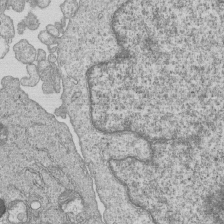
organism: Human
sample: MDA-MB-231 cells